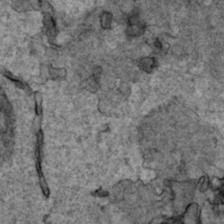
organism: Human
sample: Mitochondria in HCT116 cells